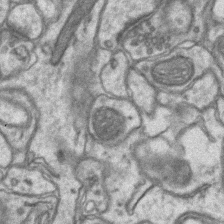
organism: Mouse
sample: CA1 Hippocampus